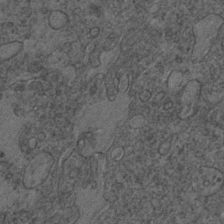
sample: Trachea